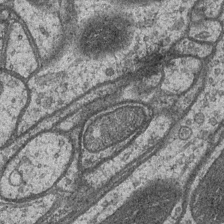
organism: Drosophila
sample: Optic medulla